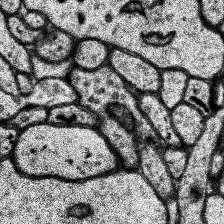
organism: Human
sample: Temporal Lobe